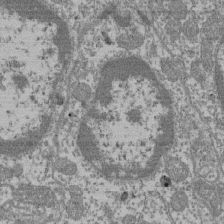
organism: Mouse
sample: Glomerulus